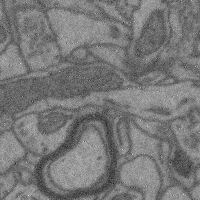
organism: Mouse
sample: Cerebral cortex